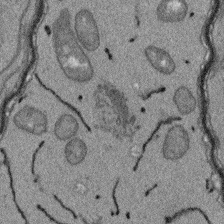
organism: Arabidopsis thaliana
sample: Root tip